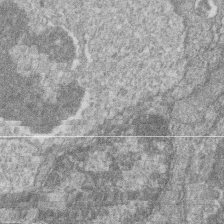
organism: Zebrafish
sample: Cilia; retinal pigment epithelium